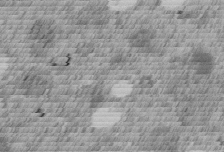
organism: C. elegans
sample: C. elegans embryo early stage